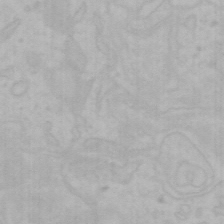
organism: Mouse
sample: Choroid plexus